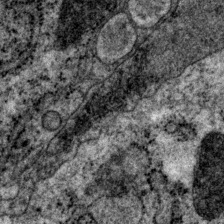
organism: P. pacificus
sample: Pharynx